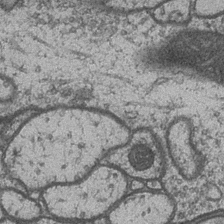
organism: Drosophila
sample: Optic medulla